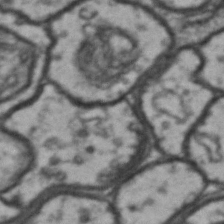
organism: Drosophila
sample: Brain